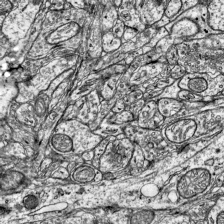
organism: Mouse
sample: Visual Cortex